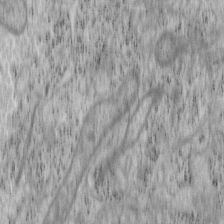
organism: Human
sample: HeLa cells